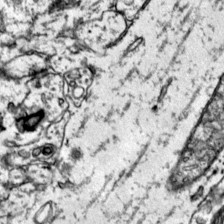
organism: Mouse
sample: Primary visual cortex